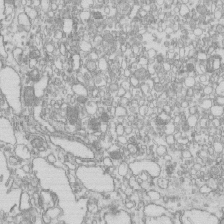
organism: Mouse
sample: Macrophages